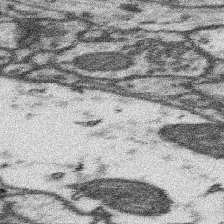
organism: Mouse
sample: Somatosensory cortex neuropil